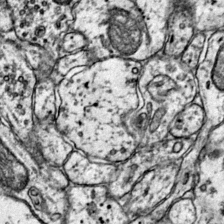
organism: Mouse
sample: Primary visual cortex